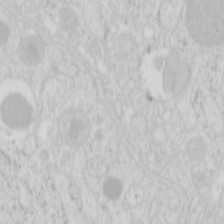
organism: Mouse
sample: Pancreas